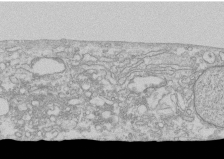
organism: Human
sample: CRL-1474